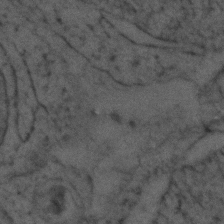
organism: Zebrafish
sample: Zebrafish embryo